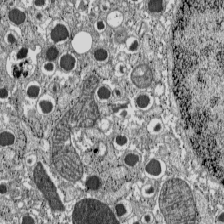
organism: C57BL Mouse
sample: Pancreatic islet